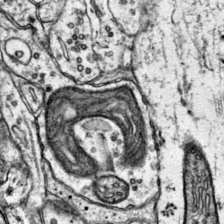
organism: Mouse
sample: Primary visual cortex